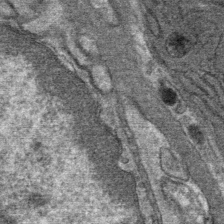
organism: Mouse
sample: Mouse Salivary gland